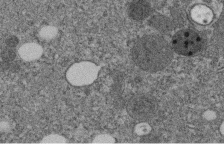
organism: C. elegans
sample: C. elegans embryo early stage